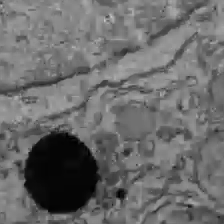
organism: C57BL Mouse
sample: Liver